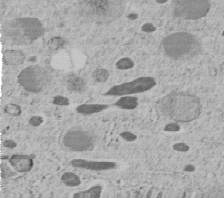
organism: C. elegans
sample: C. elegans embryo early stage